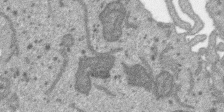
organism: Human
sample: Lung epithelial cells infected with SARS-CoV-2